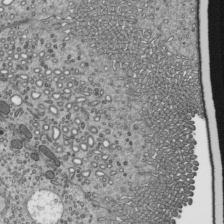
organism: Mouse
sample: Mouse epididymis efferent ductule cilia